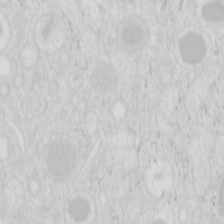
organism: Mouse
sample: Pancreas